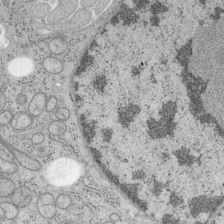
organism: Mouse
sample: OT-I killer T cells with ID8 ovarian cancer cells